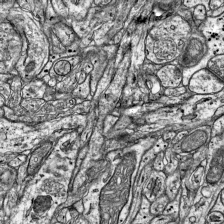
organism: Mouse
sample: Visual Cortex